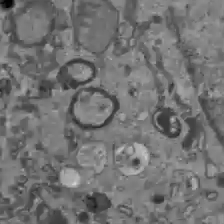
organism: C57BL Mouse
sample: Liver